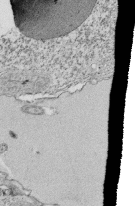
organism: Tetrahymena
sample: Cilia in tetrahymena